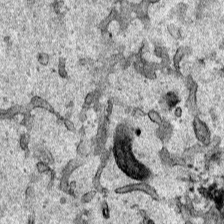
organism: Human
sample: Mitochondria in HCT116 cells